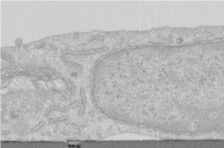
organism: Human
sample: Centriole in RPE cells